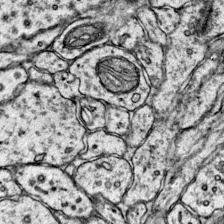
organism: Mouse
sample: Primary visual cortex